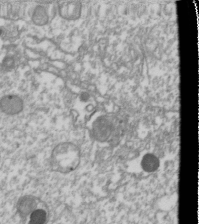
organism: Drosophila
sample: Cell division; meiosis; drosophila spermatocytes